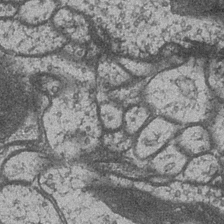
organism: Drosophila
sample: Optic medulla